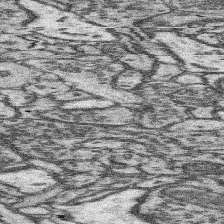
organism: Mouse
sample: Somatosensory cortex neuropil